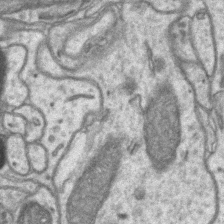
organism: Mouse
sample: CA1 Hippocampus